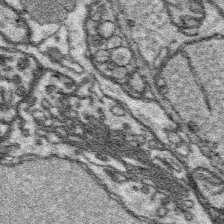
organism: Platynereis dumerilii